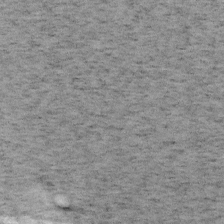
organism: Mouse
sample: OT-I killer T cells with ID8 ovarian cancer cells